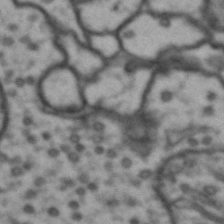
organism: Drosophila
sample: Brain